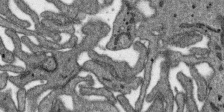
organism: Human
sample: Lung epithelial cells, uninfected (mock) control